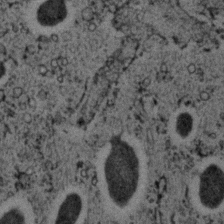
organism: C. elegans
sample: C. elegans embryo